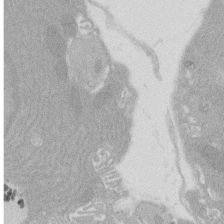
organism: Rat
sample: Salivary granule